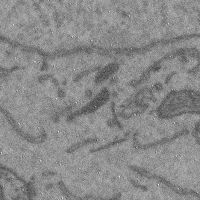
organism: Mouse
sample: Cerebral cortex